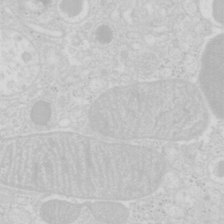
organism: Mouse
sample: Pancreas